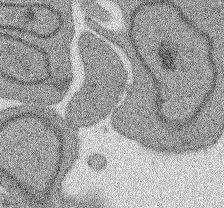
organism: Human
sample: HeLa cells